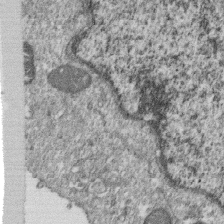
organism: African green monkey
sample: Vero E6 cells infected with SARS-CoV-2